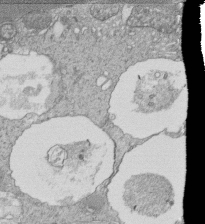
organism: Tetrahymena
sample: Cilia in tetrahymena